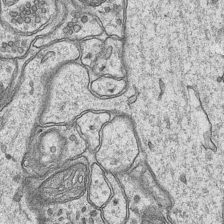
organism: Mouse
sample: CA1 Hippocampus